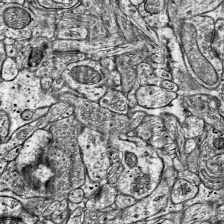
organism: Mouse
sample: Visual Cortex